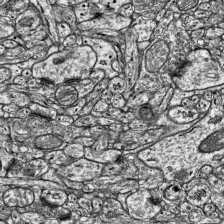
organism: Mouse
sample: Visual Cortex